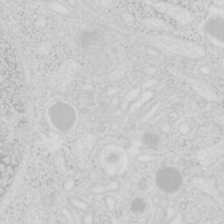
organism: Mouse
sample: Pancreas